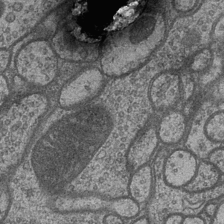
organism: Drosophila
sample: Optic medulla